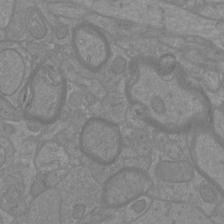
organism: Mouse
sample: Cortical neurons